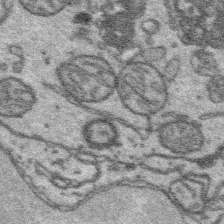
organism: Platynereis dumerilii